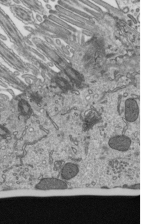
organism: Mouse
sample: Mouse epididymis efferent ductule cilia